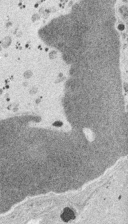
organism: Embia sp.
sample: Silk gland